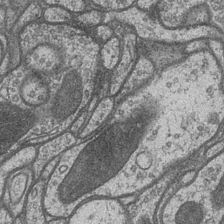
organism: Drosophila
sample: Optic medulla